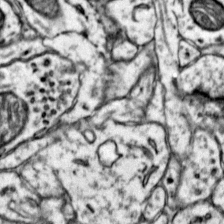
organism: Mouse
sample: Primary visual cortex